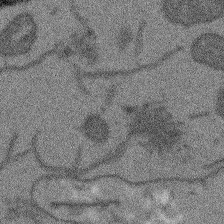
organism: Arabidopsis thaliana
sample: Root tip